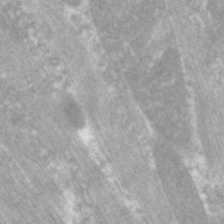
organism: C. elegans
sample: Pharynx